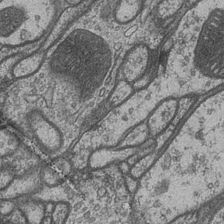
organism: Drosophila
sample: Optic medulla